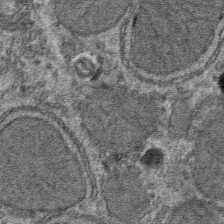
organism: Mouse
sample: Mouse hepatocytes